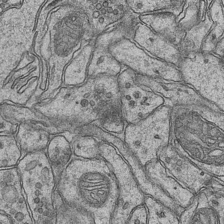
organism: Mouse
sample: CA1 Hippocampus